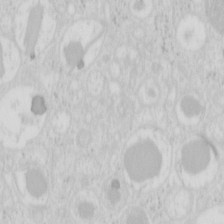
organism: Mouse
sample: Pancreas